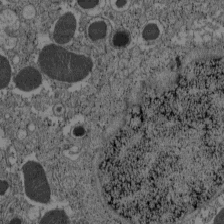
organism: C57BL Mouse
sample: Pancreatic islet